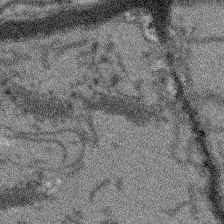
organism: Arabidopsis thaliana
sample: Root tip